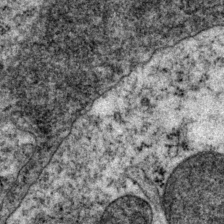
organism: P. pacificus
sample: Pharynx